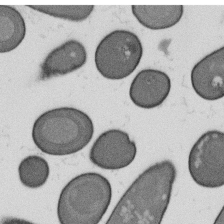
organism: B. subtilis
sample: Bacterial spore